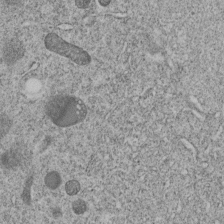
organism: C. elegans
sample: C. elegans embryo early stage